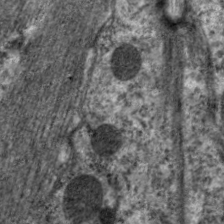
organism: C. elegans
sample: Pharynx